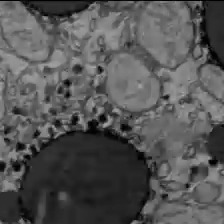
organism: C57BL Mouse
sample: Liver